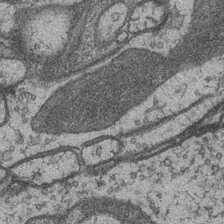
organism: Drosophila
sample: Optic medulla